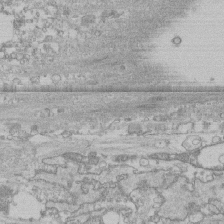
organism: Human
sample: CRL-1474